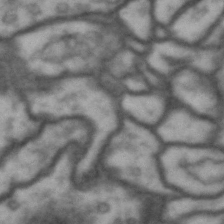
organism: Drosophila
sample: Brain